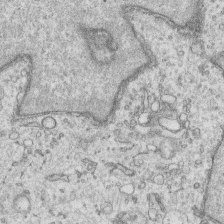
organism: Human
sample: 1205lu cells